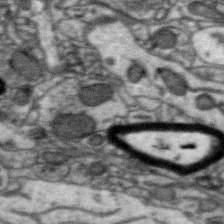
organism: Zebra finch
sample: Brain